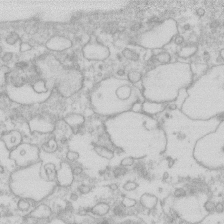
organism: Human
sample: Fibroblast cells